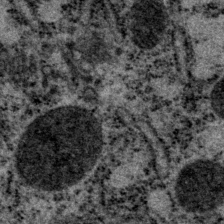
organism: P. pacificus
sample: Pharynx